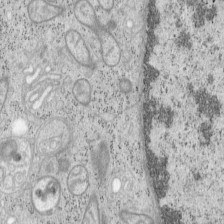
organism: Mouse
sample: OT-I killer T cells with ID8 ovarian cancer cells